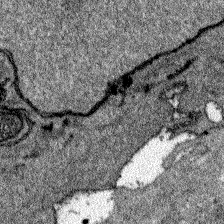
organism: Zebrafish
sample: Larval olfactory bulb